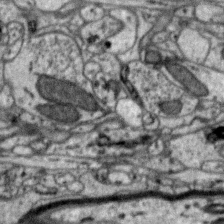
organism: Zebra finch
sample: Brain